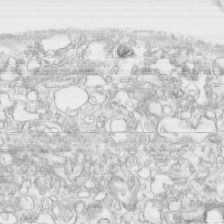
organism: Human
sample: CRL-1474